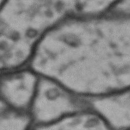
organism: Drosophila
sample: Brain